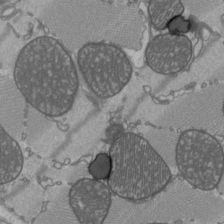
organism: C57BL Mouse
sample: Heart